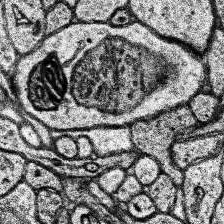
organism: Human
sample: Temporal Lobe